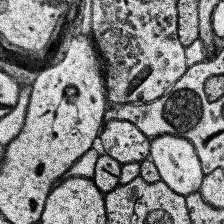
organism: Human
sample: Temporal Lobe